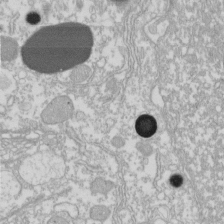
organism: Xenopus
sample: Cilia; centrioles in frog embryo cells